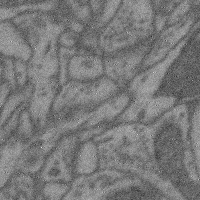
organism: Mouse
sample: Cerebral cortex